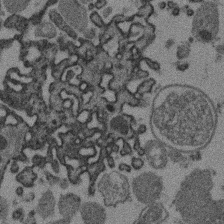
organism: Mouse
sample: Dividing mouse embryo 1 cell stage